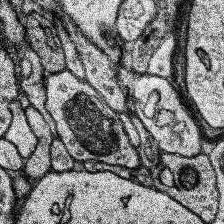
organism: Human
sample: Temporal Lobe